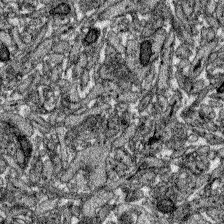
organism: Zebrafish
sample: Larval olfactory bulb